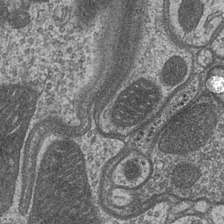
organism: Drosophila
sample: Optic medulla